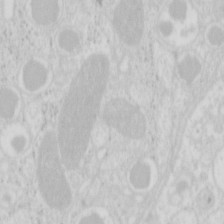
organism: Mouse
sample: Pancreas